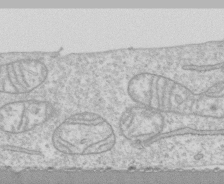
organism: Human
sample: CRL-1474